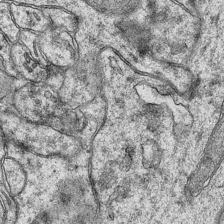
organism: Mouse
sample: CA1 Hippocampus